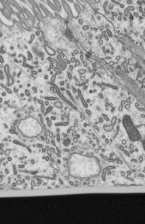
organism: Mouse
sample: Mouse epididymis efferent ductule cilia